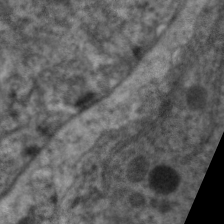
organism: C. elegans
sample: Pharynx